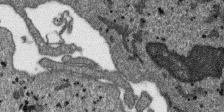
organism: Human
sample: Lung epithelial cells infected with SARS-CoV-2